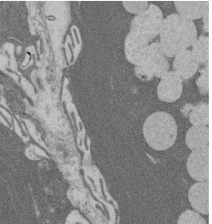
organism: Rat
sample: Salivary granule